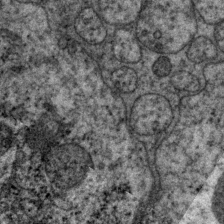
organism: P. pacificus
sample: Pharynx